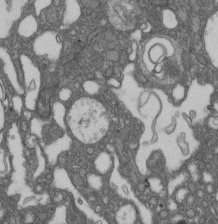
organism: Drosophila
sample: Nephrocyte